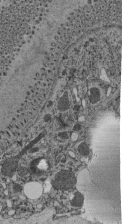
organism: C. elegans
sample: C. elegans pharynx